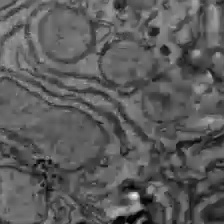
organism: C57BL Mouse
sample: Liver